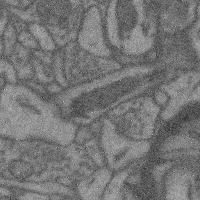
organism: Mouse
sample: Cerebral cortex